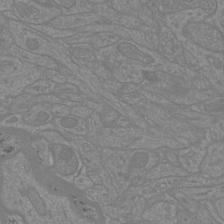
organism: Mouse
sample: Cortical neurons